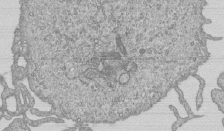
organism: Human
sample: MDA-MB-231 cells